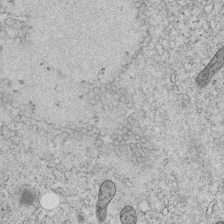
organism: C. elegans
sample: C. elegans embryo early stage